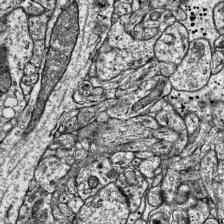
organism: Mouse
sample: Visual Cortex